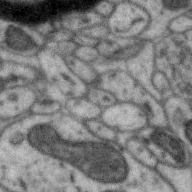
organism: Zebra finch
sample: Brain